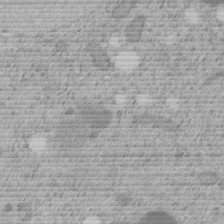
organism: C. elegans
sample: C. elegans embryo early stage